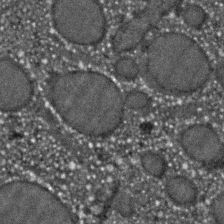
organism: C. elegans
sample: C. elegans embryo